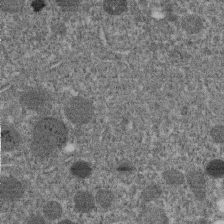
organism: C. elegans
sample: C. elegans embryo early stage